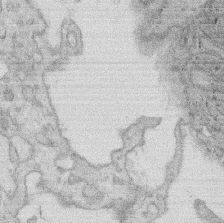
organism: Rat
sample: Salivary granule